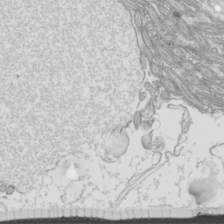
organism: Mouse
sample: Cilia; mouse epididymis